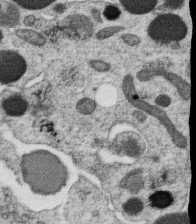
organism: C. elegans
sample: C. elegans oocyte; sperm cells